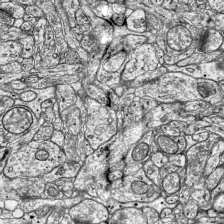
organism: Mouse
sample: Visual Cortex